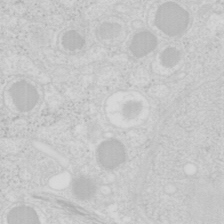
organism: Mouse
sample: Pancreas